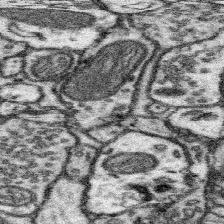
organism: Mouse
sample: Somatosensory cortex neuropil